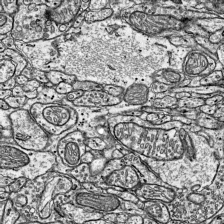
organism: Mouse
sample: Visual Cortex